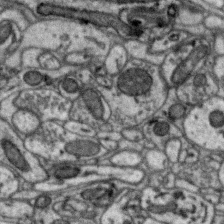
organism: Zebra finch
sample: Brain